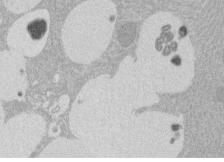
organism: Rat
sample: Salivary granule